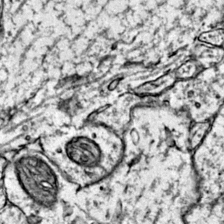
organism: Mouse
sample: Primary visual cortex